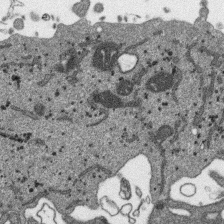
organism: Human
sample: Lung epithelial cells infected with SARS-CoV-2